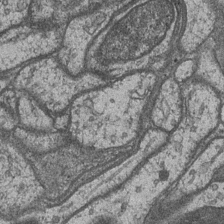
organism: Drosophila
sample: Optic medulla